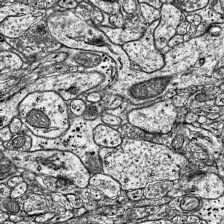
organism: Mouse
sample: Visual Cortex